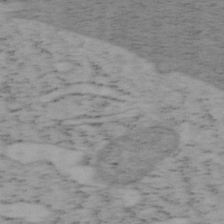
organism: Mouse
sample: OT-I killer T cells with ID8 ovarian cancer cells